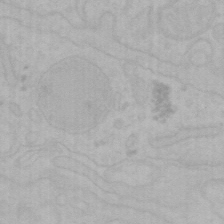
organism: Mouse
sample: Choroid plexus